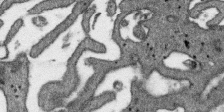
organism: Human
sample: Lung epithelial cells, uninfected (mock) control